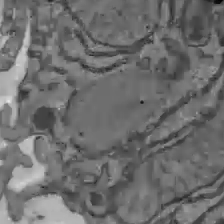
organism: C57BL Mouse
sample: Liver